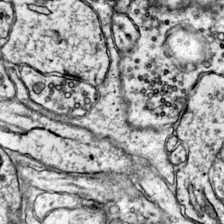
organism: Mouse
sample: Primary visual cortex